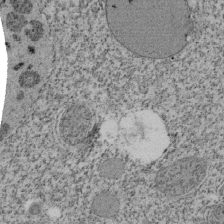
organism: Tetrahymena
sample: Cilia in tetrahymena